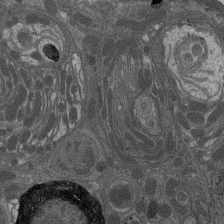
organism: Drosophila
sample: Antenna